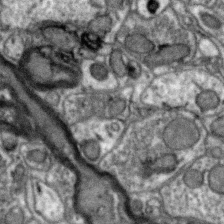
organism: Zebra finch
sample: Brain